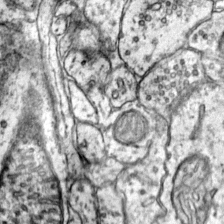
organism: Mouse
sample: Primary visual cortex